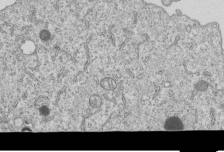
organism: Human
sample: MDA-MB-231 cells